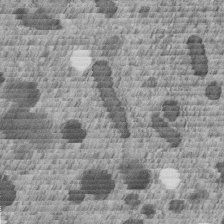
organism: C. elegans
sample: C. elegans embryo early stage